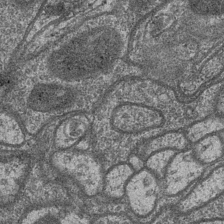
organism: Drosophila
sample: Optic medulla